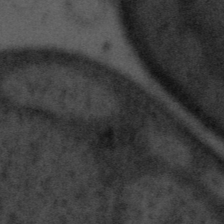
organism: Tuwongella immobilis